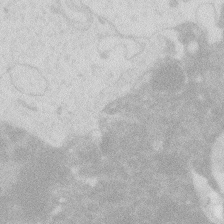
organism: Zebrafish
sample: Macrophage